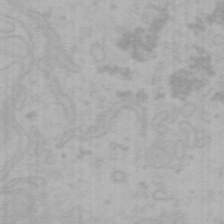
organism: Mouse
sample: Choroid plexus